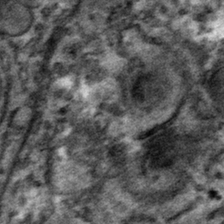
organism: Mouse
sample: Mouse hepatocytes